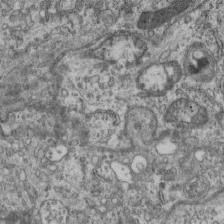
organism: Mouse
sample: Centriole in ependymal cells